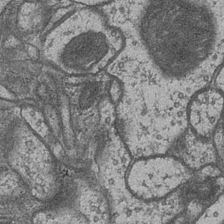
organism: Drosophila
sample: Optic medulla